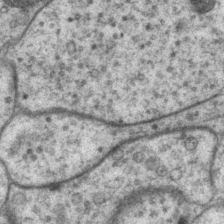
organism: P. pacificus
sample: Pharynx